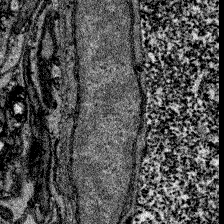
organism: Zebrafish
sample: Larval olfactory bulb